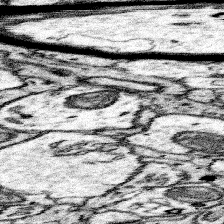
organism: Mouse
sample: Somatosensory cortex neuropil